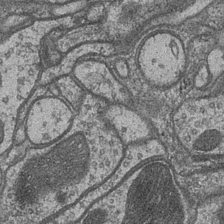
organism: Drosophila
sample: Optic medulla